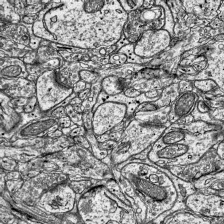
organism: Mouse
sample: Visual Cortex